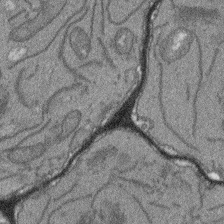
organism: Arabidopsis thaliana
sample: Root tip